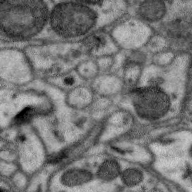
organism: Zebra finch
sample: Brain